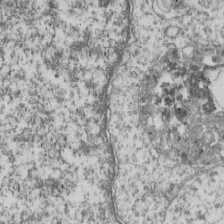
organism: Human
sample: MDA-MB-231 cells